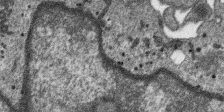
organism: Human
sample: Lung epithelial cells infected with SARS-CoV-2